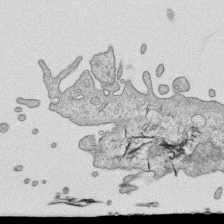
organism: Human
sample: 1205lu cells